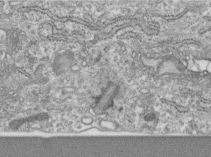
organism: Human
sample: Centriole in RPE cells